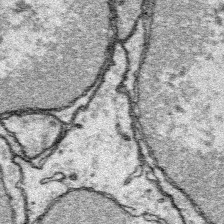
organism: Platynereis dumerilii